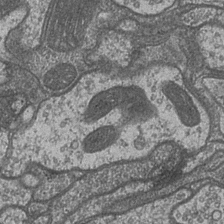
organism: Drosophila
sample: Optic medulla